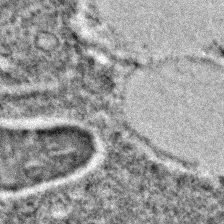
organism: C. elegans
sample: C. elegans embryo